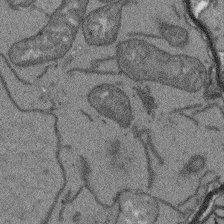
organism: Arabidopsis thaliana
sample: Root tip